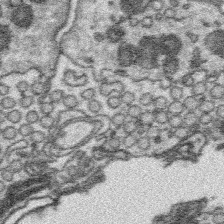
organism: Platynereis dumerilii